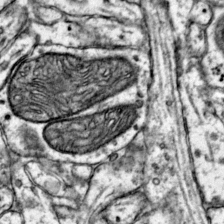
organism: Mouse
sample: Primary visual cortex